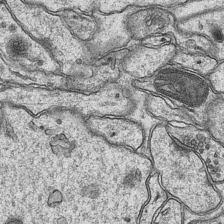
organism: Mouse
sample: CA1 Hippocampus